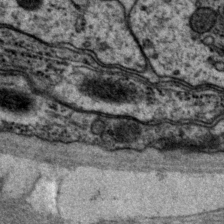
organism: P. pacificus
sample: Pharynx